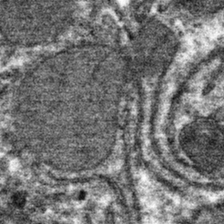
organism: Mouse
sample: Mouse hepatocytes